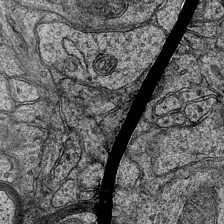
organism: Mouse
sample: CA1 Hippocampus